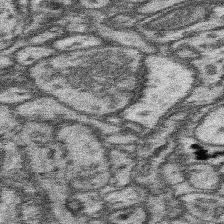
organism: Mouse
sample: Somatosensory cortex neuropil